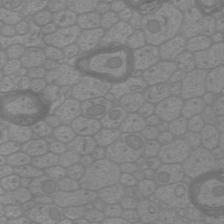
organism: Mouse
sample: Cortical neurons